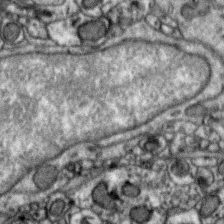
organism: Zebra finch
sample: Brain